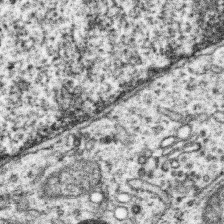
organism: Human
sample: HeLa cells